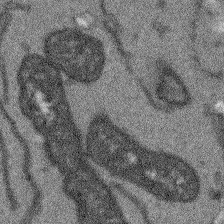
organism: Arabidopsis thaliana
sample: Root tip